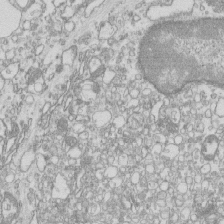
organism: Mouse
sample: Macrophages